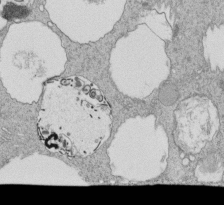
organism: Tetrahymena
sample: Cilia in tetrahymena